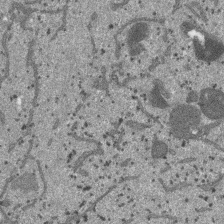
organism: Human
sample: Lung epithelial cells infected with SARS-CoV-2